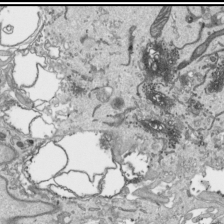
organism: Human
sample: Mitochondria in HCT116 cells